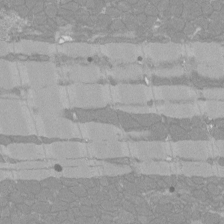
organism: Rat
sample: Left ventricle